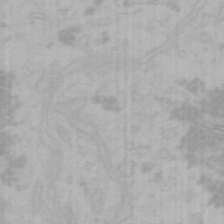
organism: Mouse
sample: Choroid plexus